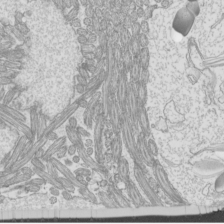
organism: Mouse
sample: Cilia; mouse epididymis